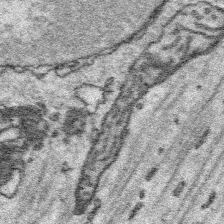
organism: Platynereis dumerilii